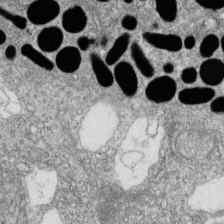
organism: Zebrafish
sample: Cilia; retinal pigment epithelium